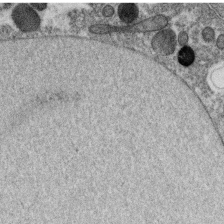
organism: C. elegans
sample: C. elegans oocyte; sperm cells